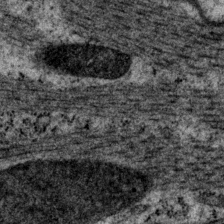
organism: P. pacificus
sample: Pharynx